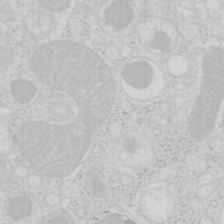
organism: Mouse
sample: Pancreas